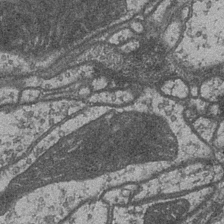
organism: Drosophila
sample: Optic medulla